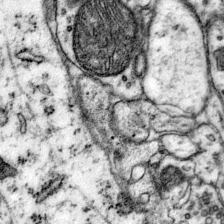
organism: Mouse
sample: Primary visual cortex